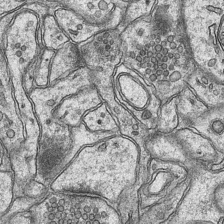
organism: Mouse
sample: CA1 Hippocampus